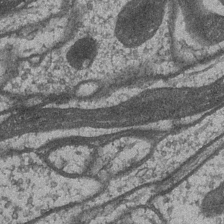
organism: Drosophila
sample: Optic medulla